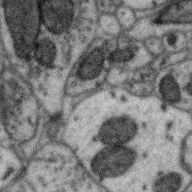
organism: Zebra finch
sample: Brain